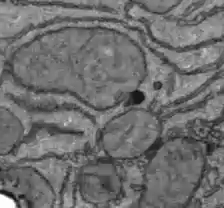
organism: C57BL Mouse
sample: Liver